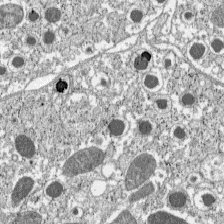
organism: C57BL Mouse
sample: Pancreatic islet